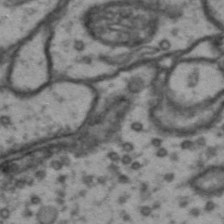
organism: Drosophila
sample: Brain